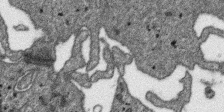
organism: Human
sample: Lung epithelial cells infected with SARS-CoV-2